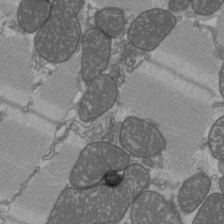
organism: C57BL Mouse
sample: Heart